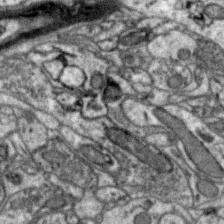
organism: Zebra finch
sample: Brain